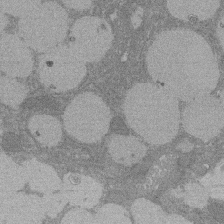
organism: Rat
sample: Salivary granule